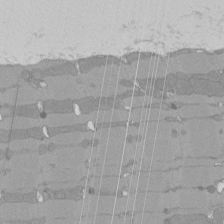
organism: Rat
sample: Left ventricle